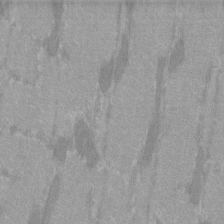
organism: C57BL Mouse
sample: Tibialis anterior muscle cell